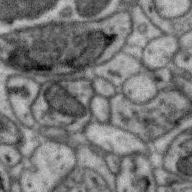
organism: Zebra finch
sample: Brain